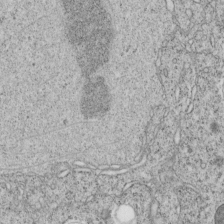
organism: C. elegans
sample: C. elegans embryo early stage